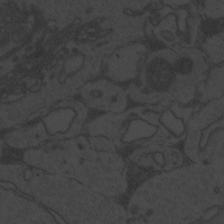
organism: Zebrafish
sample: Macrophage infected with Toxoplasma gondii